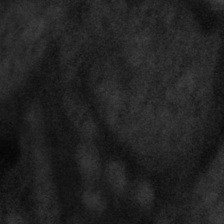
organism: Tuwongella immobilis